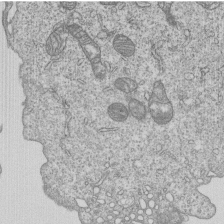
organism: Human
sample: MDA-MB-231 cells